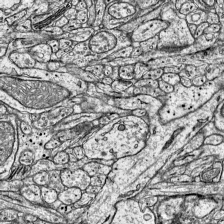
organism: Mouse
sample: Visual Cortex